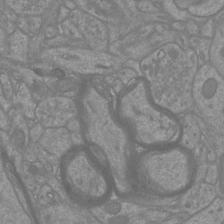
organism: Mouse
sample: Cortical neurons